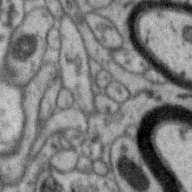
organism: Zebra finch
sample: Brain